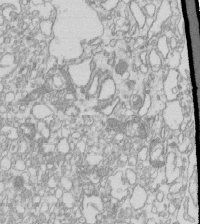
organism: Mouse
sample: Macrophages